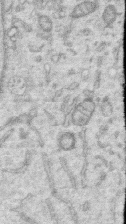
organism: Human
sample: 1205lu cells